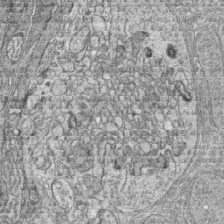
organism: Zebrafish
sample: synaptic ribbons in rod cells and cone cells